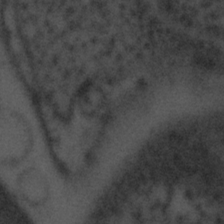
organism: Tuwongella immobilis